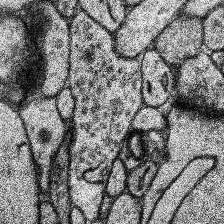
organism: Human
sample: Temporal Lobe